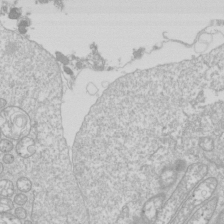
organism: Drosophila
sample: Cell division; meiosis; drosophila spermatocytes